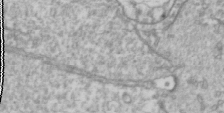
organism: Drosophila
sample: Cell division; meiosis; drosophila spermatocytes